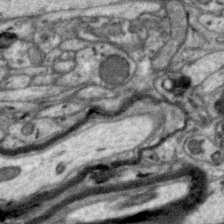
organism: Zebra finch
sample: Brain